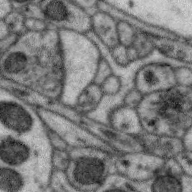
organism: Zebra finch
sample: Brain